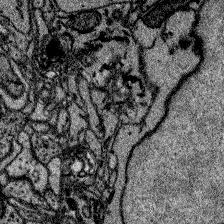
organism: Zebrafish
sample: Larval olfactory bulb